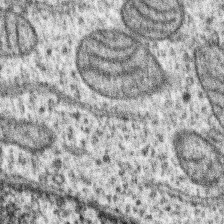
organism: Human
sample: HeLa cells